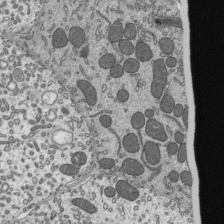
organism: Mouse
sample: Mouse epididymis efferent ductule cilia